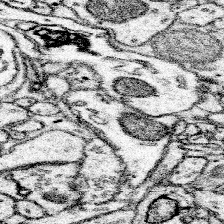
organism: Mouse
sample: Somatosensory cortex neuropil